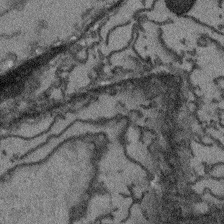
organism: Arabidopsis thaliana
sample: Root tip